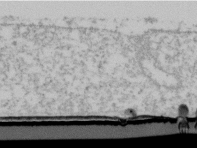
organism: Human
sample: U2-OS cells